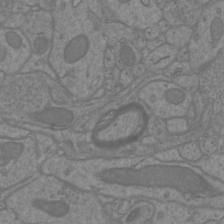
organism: Mouse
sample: Cortical neurons